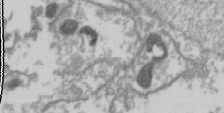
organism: Drosophila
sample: Cell division; meiosis; drosophila spermatocytes